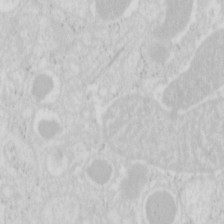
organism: Mouse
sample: Pancreas